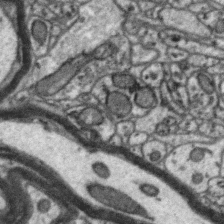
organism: Zebra finch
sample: Brain